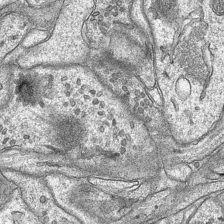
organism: Mouse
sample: CA1 Hippocampus